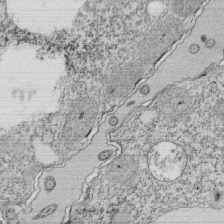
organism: Tetrahymena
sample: Cilia in tetrahymena